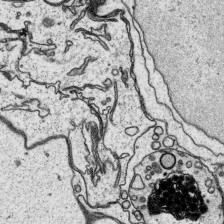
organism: Platynereis dumerilii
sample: Parapodia